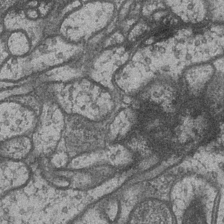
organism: Drosophila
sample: Optic medulla